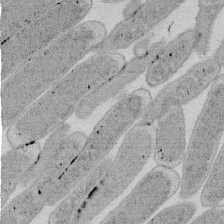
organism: E. coli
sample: Bacterial nucleoid